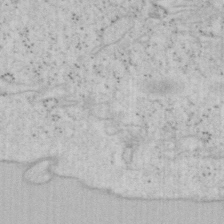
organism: Human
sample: HeLa cells